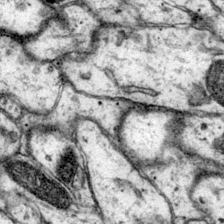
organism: Mouse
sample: Primary visual cortex